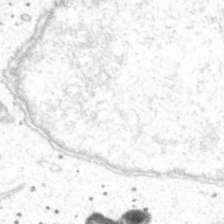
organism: Human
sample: HeLa cells